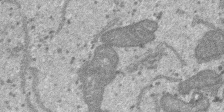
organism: Human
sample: Lung epithelial cells infected with SARS-CoV-2